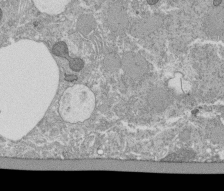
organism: Tetrahymena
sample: Cilia in tetrahymena